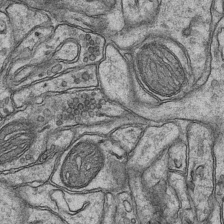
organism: Mouse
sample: CA1 Hippocampus